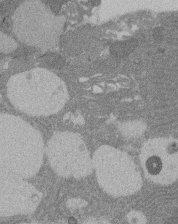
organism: Rat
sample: Salivary granule